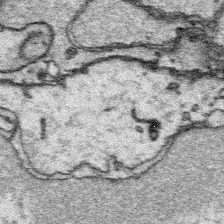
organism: Platynereis dumerilii